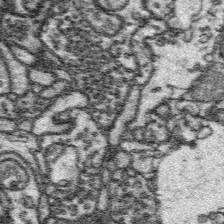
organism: Platynereis dumerilii